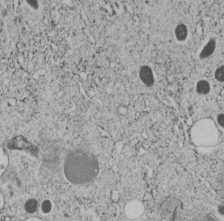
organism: C. elegans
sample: C. elegans embryo early stage